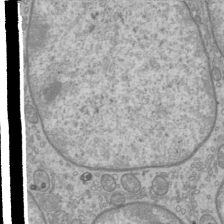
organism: Mouse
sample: Cilia; mouse epididymis